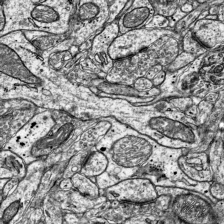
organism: Mouse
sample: Visual Cortex